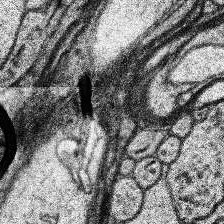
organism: Human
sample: Temporal Lobe